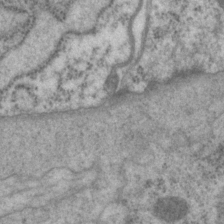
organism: P. pacificus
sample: Pharynx